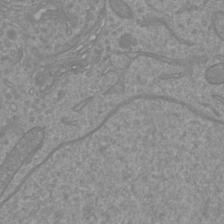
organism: Mouse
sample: Cortical neurons